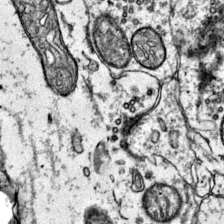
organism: Mouse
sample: Primary visual cortex